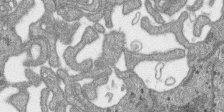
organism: Human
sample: Lung epithelial cells infected with SARS-CoV-2